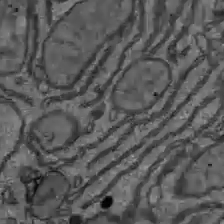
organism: C57BL Mouse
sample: Liver